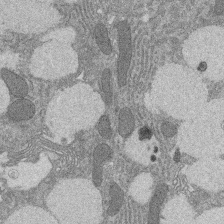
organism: Rat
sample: Salivary granule